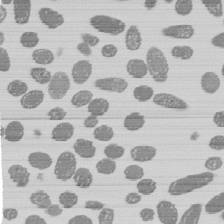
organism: E. coli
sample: Bacterial nucleoid